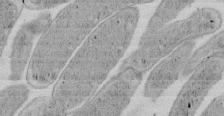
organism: E. coli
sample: Bacterial nucleoid